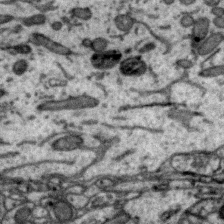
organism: Zebra finch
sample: Brain